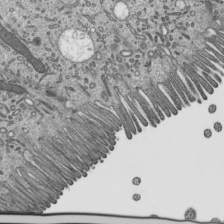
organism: Mouse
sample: Mouse epididymis efferent ductule cilia